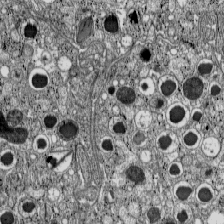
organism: C57BL Mouse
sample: Pancreatic islet